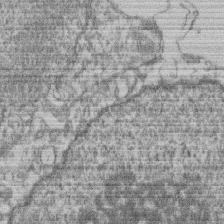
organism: Mouse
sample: T cell stromal cell synapse